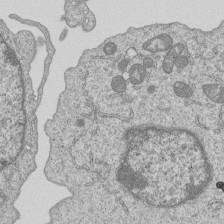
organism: Human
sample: MDA-MB-231 cells